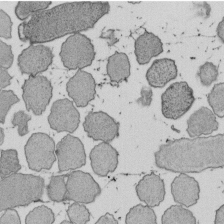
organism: E. coli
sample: Bacterial nucleoid